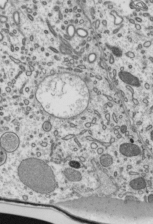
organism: Mouse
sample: Mouse epididymis efferent ductule cilia